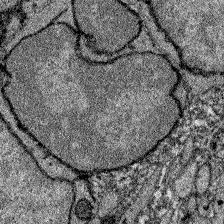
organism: Zebrafish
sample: Larval olfactory bulb